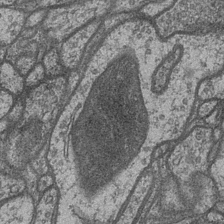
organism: Drosophila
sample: Optic medulla